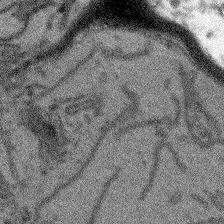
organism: Arabidopsis thaliana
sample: Root tip